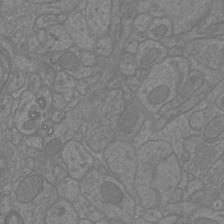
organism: Mouse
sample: Cortical neurons